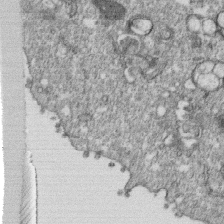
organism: African green monkey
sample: Vero E6 cells infected with SARS-CoV-2